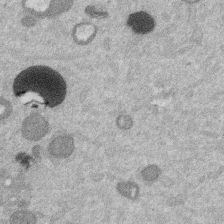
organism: Mouse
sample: Dividing mouse embryo 1 cell stage